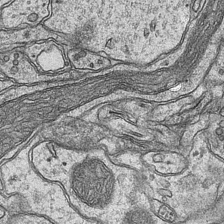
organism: Mouse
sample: CA1 Hippocampus